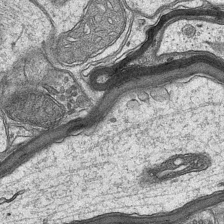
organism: Mouse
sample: CA1 Hippocampus